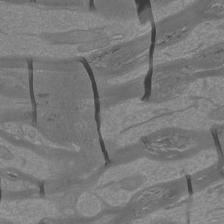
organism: Mouse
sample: Cortical neurons